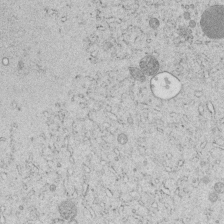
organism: C. elegans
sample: C. elegans embryo early stage